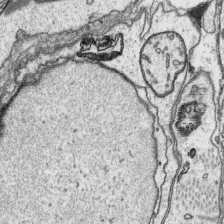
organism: Platynereis dumerilii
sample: Parapodia